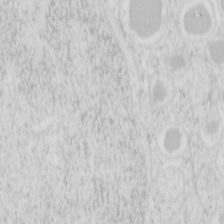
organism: Mouse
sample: Pancreas